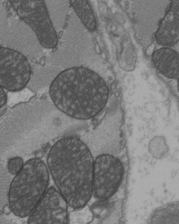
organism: C57BL Mouse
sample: Heart